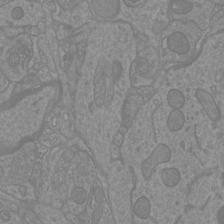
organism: Mouse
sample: Cortical neurons